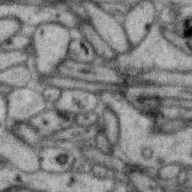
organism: Zebra finch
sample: Brain